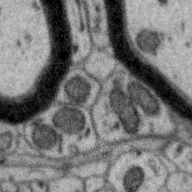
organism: Zebra finch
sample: Brain